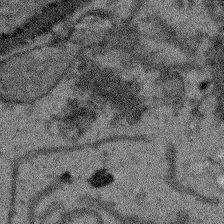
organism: Arabidopsis thaliana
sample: Root tip